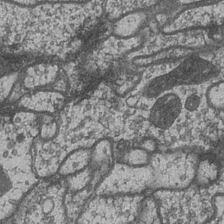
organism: Drosophila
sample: Optic medulla